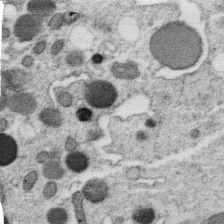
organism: C. elegans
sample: C. elegans oocyte; sperm cells